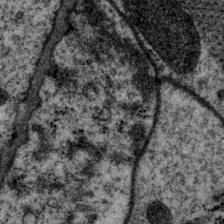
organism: P. pacificus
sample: Pharynx